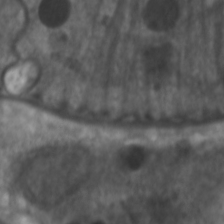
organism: C. elegans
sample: Pharynx